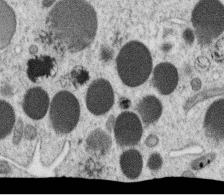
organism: C. elegans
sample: C. elegans oocyte; sperm cells